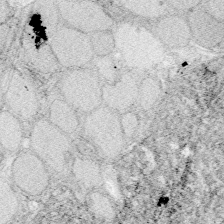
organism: Zebrafish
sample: Whole-Brain